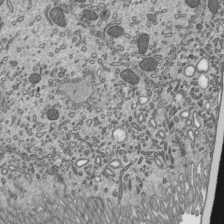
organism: Mouse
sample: Mouse epididymis efferent ductule cilia